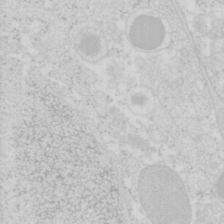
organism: Mouse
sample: Pancreas